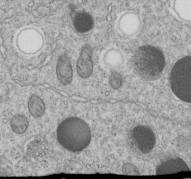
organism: C. elegans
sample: C. elegans embryo early stage